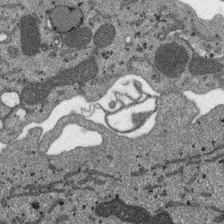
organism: Human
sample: Lung epithelial cells infected with SARS-CoV-2